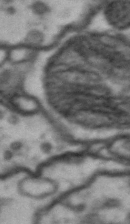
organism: Drosophila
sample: Brain